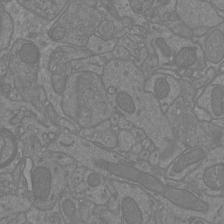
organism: Mouse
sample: Cortical neurons